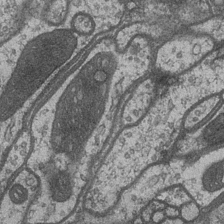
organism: Drosophila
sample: Optic medulla